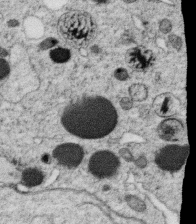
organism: C. elegans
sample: C. elegans oocyte; sperm cells